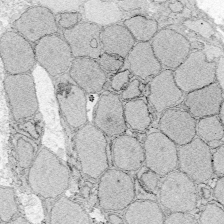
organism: Zebrafish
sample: Whole-Brain